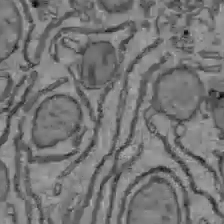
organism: C57BL Mouse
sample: Liver